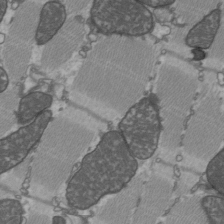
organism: C57BL Mouse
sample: Heart